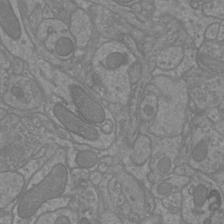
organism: Mouse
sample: Cortical neurons